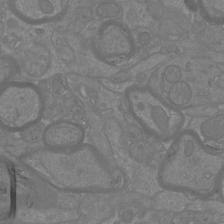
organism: Mouse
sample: Cortical neurons